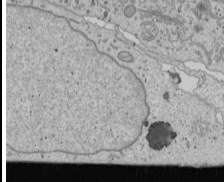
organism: Human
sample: Mitochondria in U2OS cells